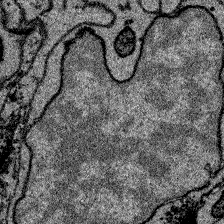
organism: Zebrafish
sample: Larval olfactory bulb